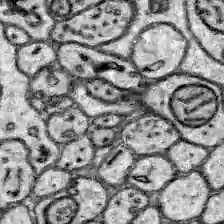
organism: Zebrafish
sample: Brain